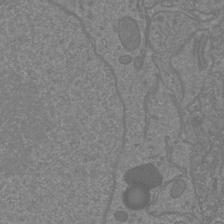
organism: Mouse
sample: Cortical neurons